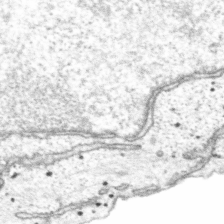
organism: Human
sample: HeLa cells